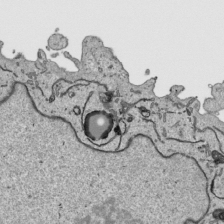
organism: Human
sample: Mitochondria in HCT116 cells